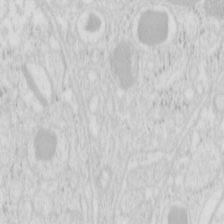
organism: Mouse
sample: Pancreas